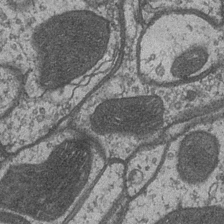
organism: Drosophila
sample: Optic medulla